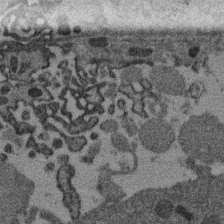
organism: Mouse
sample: Dividing mouse embryo 1 cell stage